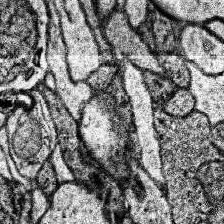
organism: Human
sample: Temporal Lobe